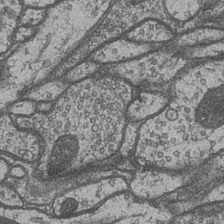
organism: Drosophila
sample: Optic medulla